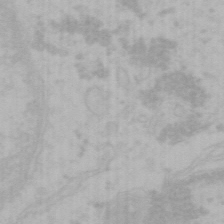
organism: Mouse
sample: Choroid plexus